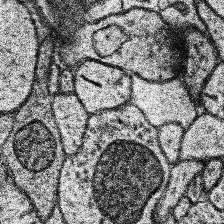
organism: Human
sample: Temporal Lobe